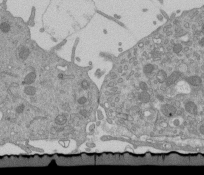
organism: Mouse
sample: ED-1 cell nuclei; centrioles